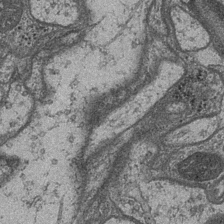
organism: Drosophila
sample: Optic medulla